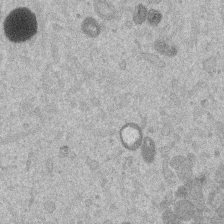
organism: Mouse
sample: Dividing mouse embryo 1 cell stage